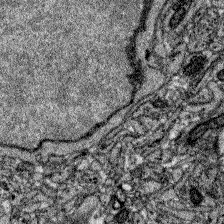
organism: Zebrafish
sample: Larval olfactory bulb